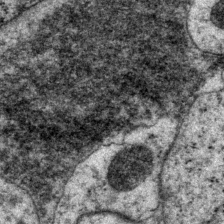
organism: P. pacificus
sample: Pharynx